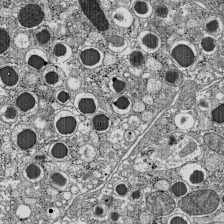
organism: C57BL Mouse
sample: Pancreatic islet